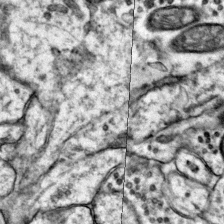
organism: Mouse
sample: Primary visual cortex